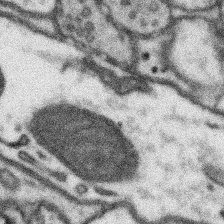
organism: Mouse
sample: Somatosensory cortex neuropil